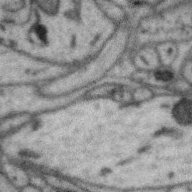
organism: Zebra finch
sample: Brain